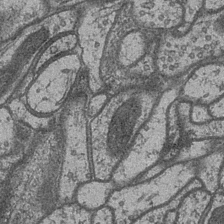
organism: Drosophila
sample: Optic medulla